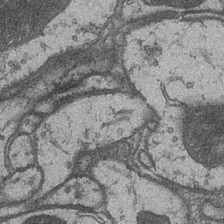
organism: Drosophila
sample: Optic medulla